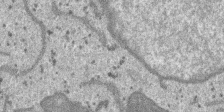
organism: Human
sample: Lung epithelial cells infected with SARS-CoV-2